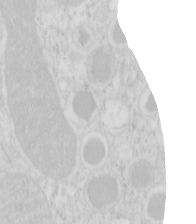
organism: Mouse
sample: Pancreas